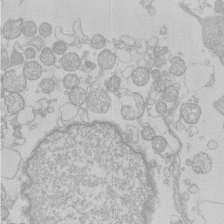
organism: Human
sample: Macrophage cells